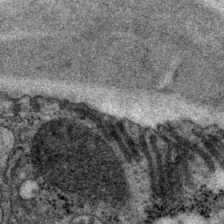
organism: P. pacificus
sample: Pharynx